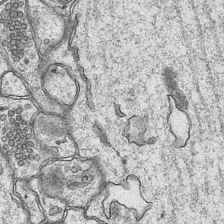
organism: Mouse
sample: CA1 Hippocampus